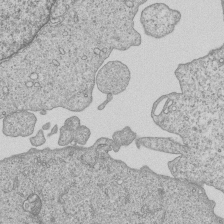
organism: Human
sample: MDA-MB-231 cells